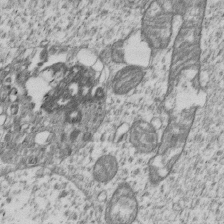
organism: Human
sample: MDA-MB-231 cells